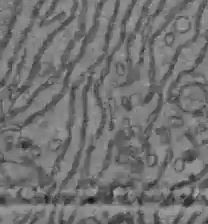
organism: C57BL Mouse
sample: Liver